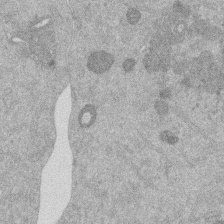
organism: Mouse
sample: Dividing mouse embryo 1 cell stage